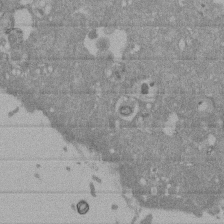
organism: Mouse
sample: ED-1 cell nuclei; centrioles